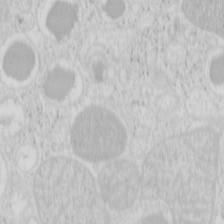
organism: Mouse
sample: Pancreas